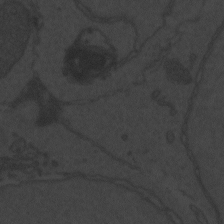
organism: Zebrafish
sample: Macrophage infected with Toxoplasma gondii